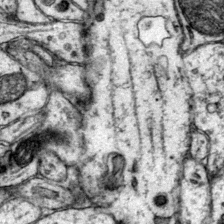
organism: Mouse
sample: Primary visual cortex